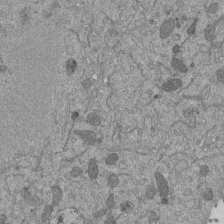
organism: Mouse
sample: ED-1 cell nuclei; centrioles